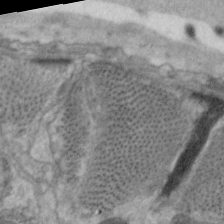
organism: C. elegans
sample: Pharynx